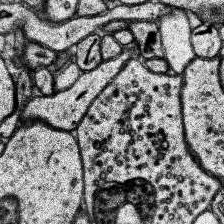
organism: Human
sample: Temporal Lobe